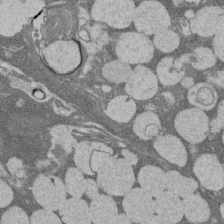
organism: Rat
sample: Salivary granule